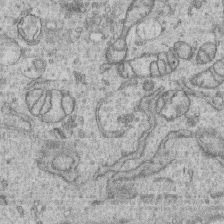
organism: Human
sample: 1205lu cells